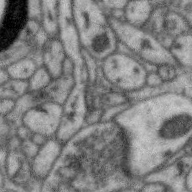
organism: Zebra finch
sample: Brain